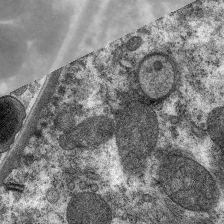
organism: C. elegans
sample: Pharynx